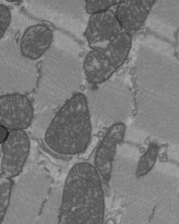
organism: C57BL Mouse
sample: Heart